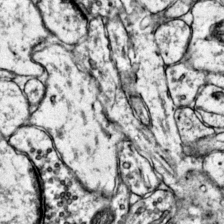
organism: Mouse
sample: Primary visual cortex